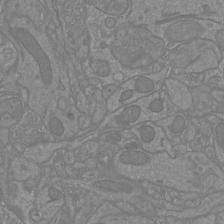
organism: Mouse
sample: Cortical neurons